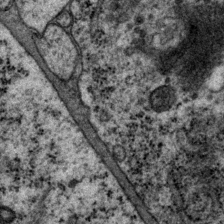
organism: P. pacificus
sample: Pharynx